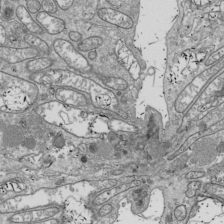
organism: Drosophila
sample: Cell division; meiosis; drosophila spermatocytes